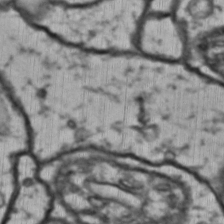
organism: Drosophila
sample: Brain